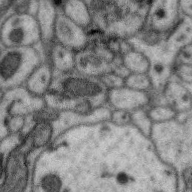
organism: Zebra finch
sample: Brain